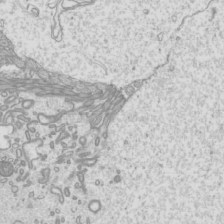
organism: Mouse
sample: Cilia; mouse epididymis